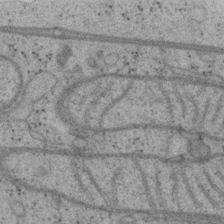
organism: Human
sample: HeLa cells